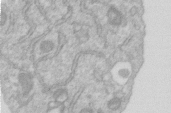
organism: Human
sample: Centriole in RPE cells